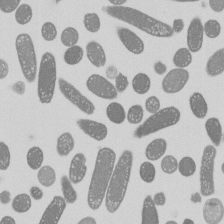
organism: E. coli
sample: Bacterial nucleoid